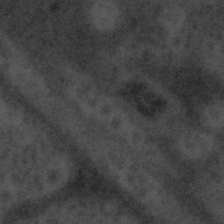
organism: Tuwongella immobilis